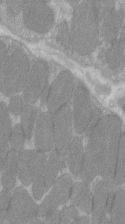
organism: C57BL Mouse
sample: Tibialis anterior muscle cell